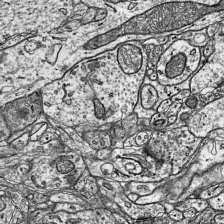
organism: Mouse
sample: Visual Cortex